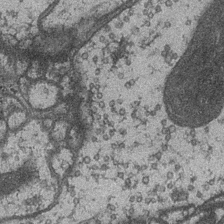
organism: Drosophila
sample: Optic medulla